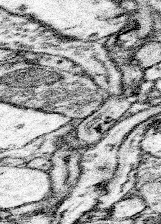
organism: Mouse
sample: Somatosensory cortex neuropil